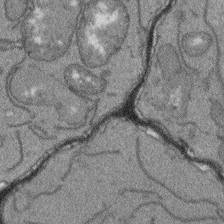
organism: Arabidopsis thaliana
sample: Root tip